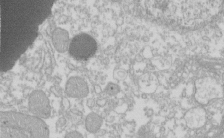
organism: Xenopus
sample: Cilia; centrioles in frog embryo cells